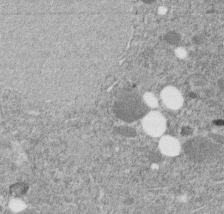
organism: C. elegans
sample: C. elegans embryo early stage